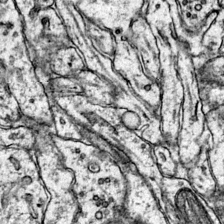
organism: Mouse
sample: Primary visual cortex